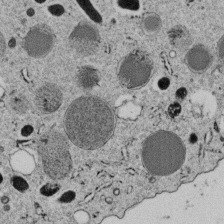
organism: C. elegans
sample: C. elegans embryo early stage